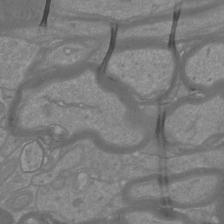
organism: Mouse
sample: Cortical neurons